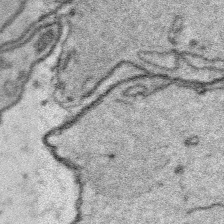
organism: Platynereis dumerilii